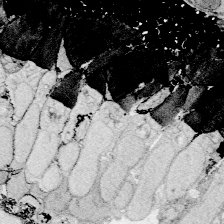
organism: Zebrafish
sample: Whole-Brain